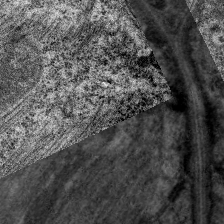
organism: C. elegans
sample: Pharynx